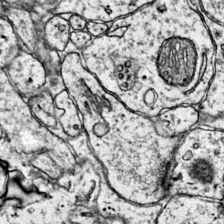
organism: Mouse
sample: Primary visual cortex